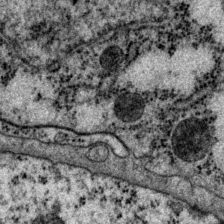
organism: P. pacificus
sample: Pharynx